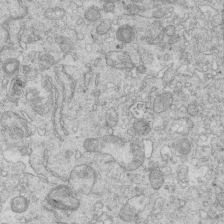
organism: Mouse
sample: Multiciliated cells